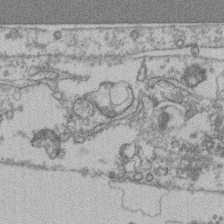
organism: Mouse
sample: T cell stromal cell synapse